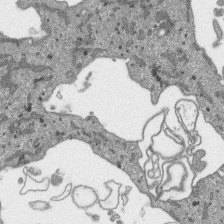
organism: Human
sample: Lung epithelial cells infected with SARS-CoV-2